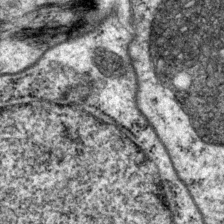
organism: P. pacificus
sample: Pharynx